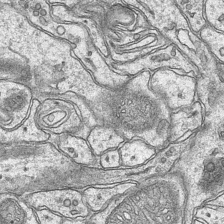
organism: Mouse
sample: CA1 Hippocampus